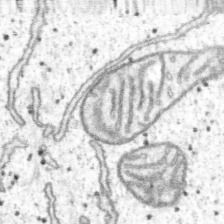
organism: Human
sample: HeLa cells